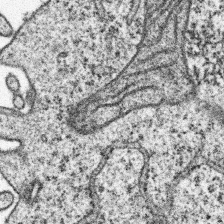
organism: Human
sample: HeLa cells